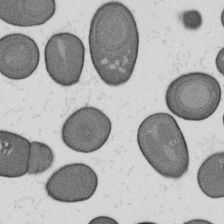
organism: B. subtilis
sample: Bacterial spore